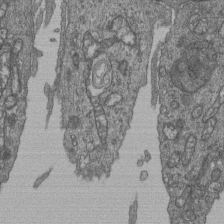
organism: Human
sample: Retinal organoid Rod and Cone cells